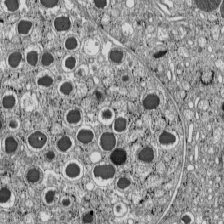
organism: C57BL Mouse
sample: Pancreatic islet